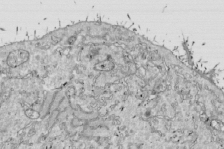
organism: Drosophila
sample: Cell division; meiosis; drosophila spermatocytes